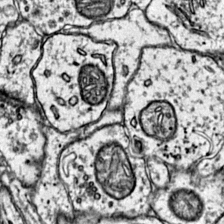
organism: Mouse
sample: Primary visual cortex